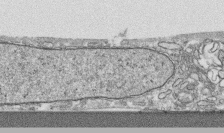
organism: Human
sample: CRL-1474